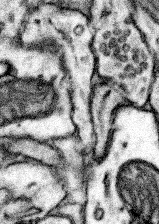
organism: Mouse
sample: Somatosensory cortex neuropil